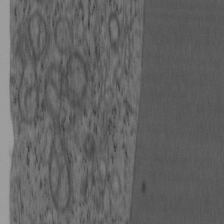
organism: Human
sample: HeLa cells